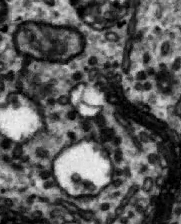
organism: Human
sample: HeLa cells